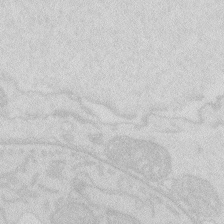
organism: Zebrafish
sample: Macrophage